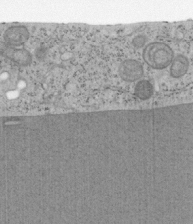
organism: Human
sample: HeLa cells